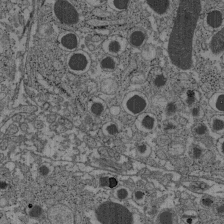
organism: C57BL Mouse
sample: Pancreatic islet